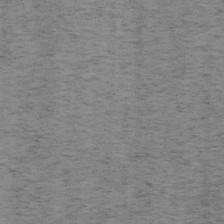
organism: Mouse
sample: OT-I killer T cells with ID8 ovarian cancer cells